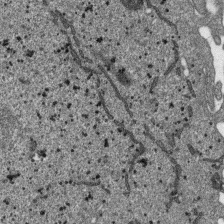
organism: Human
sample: Lung epithelial cells infected with SARS-CoV-2